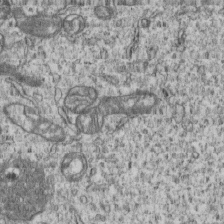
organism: Human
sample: MDA-MB-231 cells